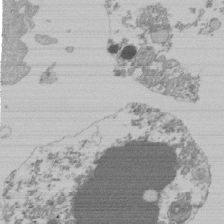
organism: Mouse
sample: Activated Pmel transgenic CD8+ T Cells